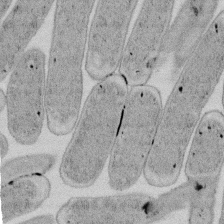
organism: E. coli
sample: Bacterial nucleoid